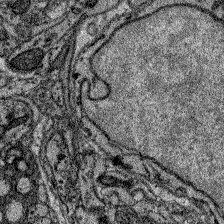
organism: Zebrafish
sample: Larval olfactory bulb